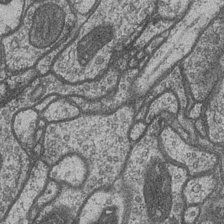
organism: Drosophila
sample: Optic medulla